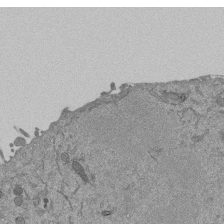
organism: Mouse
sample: ED-1 cell nuclei; centrioles